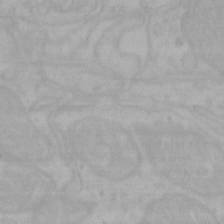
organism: Mouse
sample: Choroid plexus